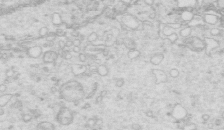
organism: Mouse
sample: Multiciliated cells